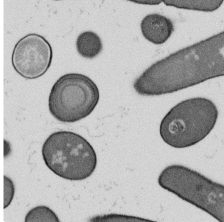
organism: B. subtilis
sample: Bacterial spore